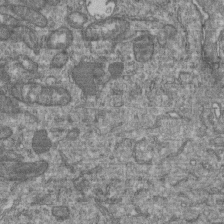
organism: Human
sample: Retinal organoid Rod and Cone cells